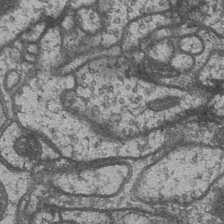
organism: Drosophila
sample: Optic medulla